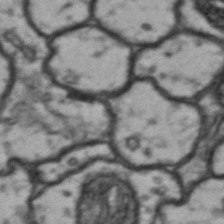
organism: Drosophila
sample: Brain